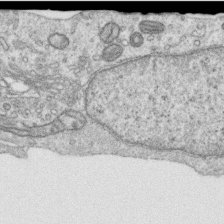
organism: Human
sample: Centriole in RPE cells